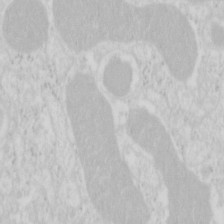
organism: Mouse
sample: Pancreas